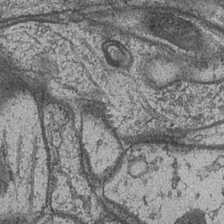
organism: Drosophila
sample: Optic medulla